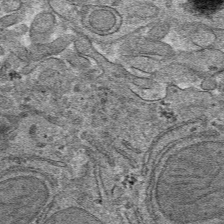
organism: Mouse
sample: Mouse hepatocytes